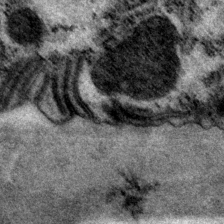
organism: P. pacificus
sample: Pharynx